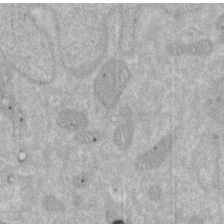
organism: Human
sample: HIV infected U937 cells